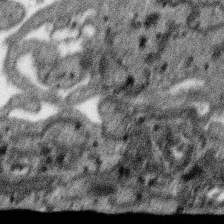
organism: Human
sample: Lung epithelial cells infected with SARS-CoV-2